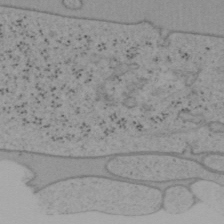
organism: Human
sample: HeLa cells